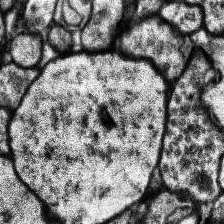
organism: Human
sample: Temporal Lobe